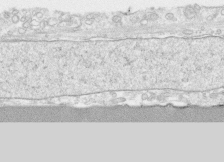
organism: Human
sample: CRL-1474